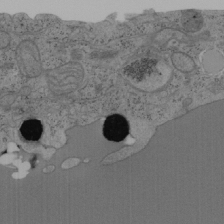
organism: Human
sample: HeLa cells